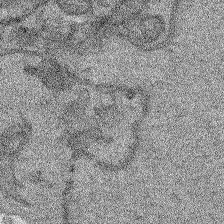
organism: Human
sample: HeLa cells